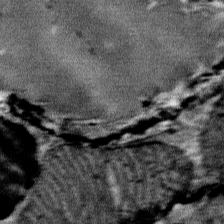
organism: Mouse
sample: Mouse Salivary gland